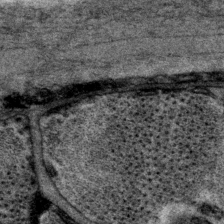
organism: P. pacificus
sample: Pharynx